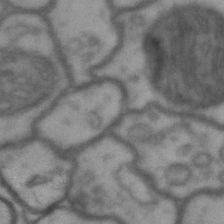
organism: Drosophila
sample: Brain